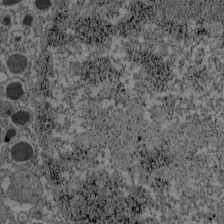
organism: C57BL Mouse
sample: Pancreatic islet